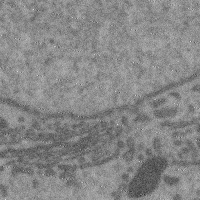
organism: Mouse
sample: Cerebral cortex